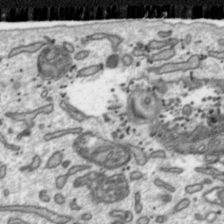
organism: Toxoplasma gondii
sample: Parasites in a vacuole inside a host cell